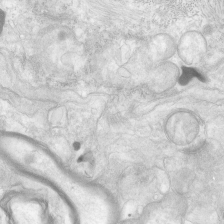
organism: Human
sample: Neocortex